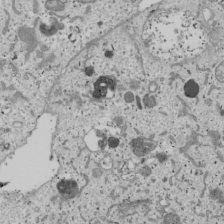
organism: Human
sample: Mitochondria in U2OS cells